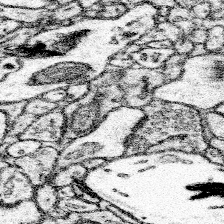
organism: Mouse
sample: Somatosensory cortex neuropil